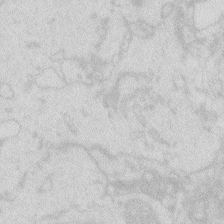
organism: Zebrafish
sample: Macrophage